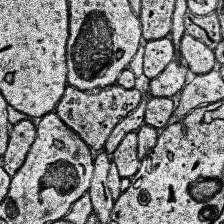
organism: Human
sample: Temporal Lobe